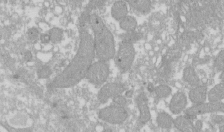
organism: Xenopus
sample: Cilia; centrioles in frog embryo cells